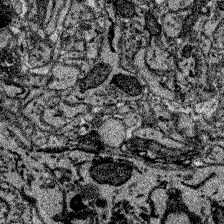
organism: Zebrafish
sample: Larval olfactory bulb